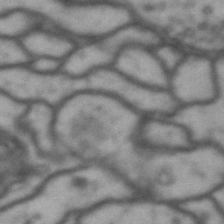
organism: Drosophila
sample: Brain